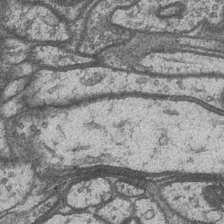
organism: Drosophila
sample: Optic medulla